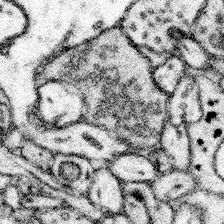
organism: Mouse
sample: Somatosensory cortex neuropil